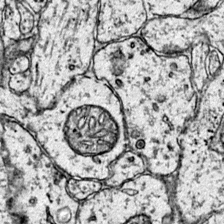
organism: Mouse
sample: Primary visual cortex